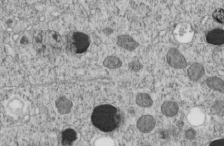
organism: C. elegans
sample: C. elegans embryo early stage